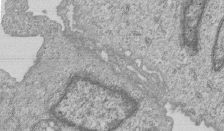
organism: Human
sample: MDA-MB-231 cells